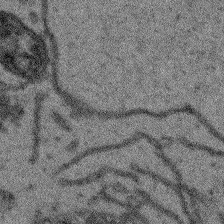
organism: Arabidopsis thaliana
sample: Root tip